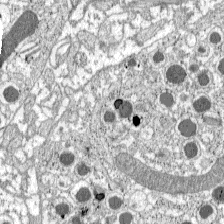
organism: C57BL Mouse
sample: Pancreatic islet